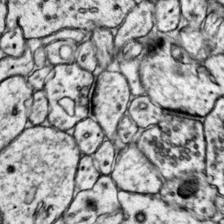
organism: Mouse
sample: Primary visual cortex